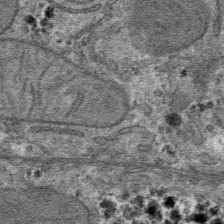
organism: Mouse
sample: Mouse hepatocytes